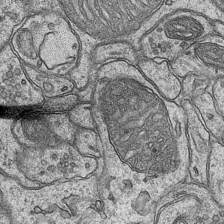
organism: Mouse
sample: CA1 Hippocampus